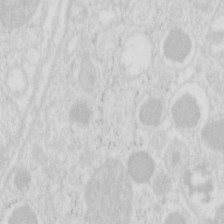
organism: Mouse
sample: Pancreas